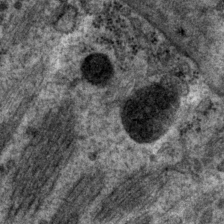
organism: P. pacificus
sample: Pharynx